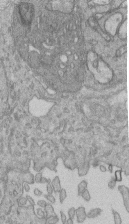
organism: Human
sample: Retinal organoid Rod and Cone cells